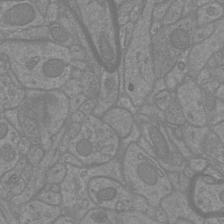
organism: Mouse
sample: Cortical neurons